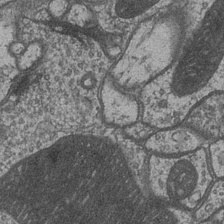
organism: Drosophila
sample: Optic medulla